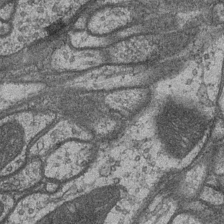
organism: Drosophila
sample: Optic medulla